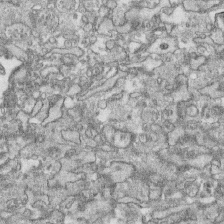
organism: Human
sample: CRL-1474